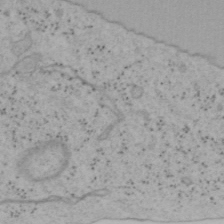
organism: Human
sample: HeLa cells